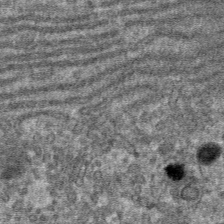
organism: Mouse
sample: Mouse hepatocytes